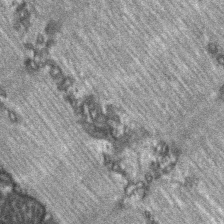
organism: C57BL Mouse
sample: Soleus